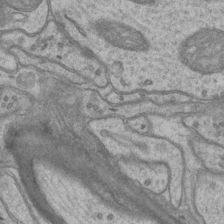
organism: Mouse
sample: CA1 Hippocampus